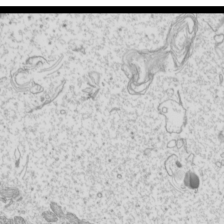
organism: Mouse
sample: Cilia; mouse epididymis